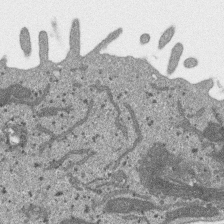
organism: Human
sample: Lung epithelial cells infected with SARS-CoV-2